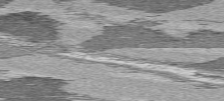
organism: C57BL Mouse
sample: Heart